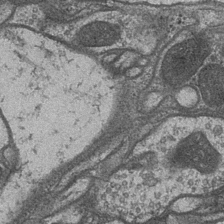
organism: Drosophila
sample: Optic medulla